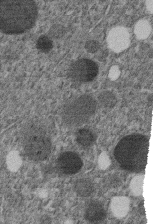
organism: C. elegans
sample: C. elegans embryo early stage